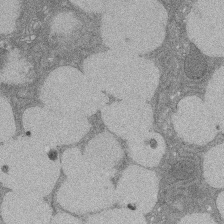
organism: Rat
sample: Salivary granule